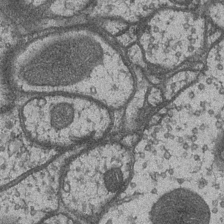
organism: Drosophila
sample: Optic medulla